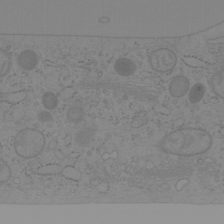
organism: Human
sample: HeLa cells